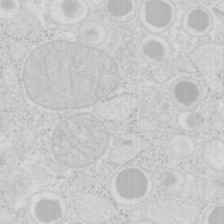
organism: Mouse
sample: Pancreas